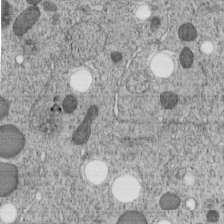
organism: C. elegans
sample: C. elegans embryo early stage